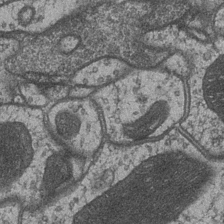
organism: Drosophila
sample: Optic medulla